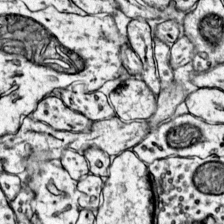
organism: Mouse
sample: Primary visual cortex